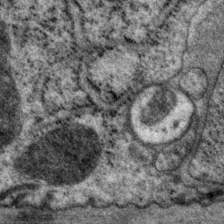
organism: P. pacificus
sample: Pharynx